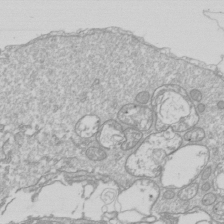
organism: Drosophila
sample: Cell division; meiosis; drosophila spermatocytes